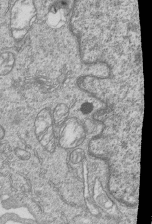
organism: Human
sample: MDA-MB-231 cells